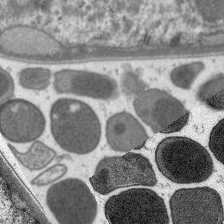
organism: C. elegans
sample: Pharynx